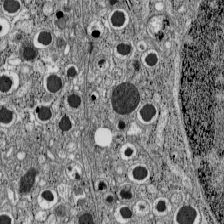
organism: C57BL Mouse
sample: Pancreatic islet